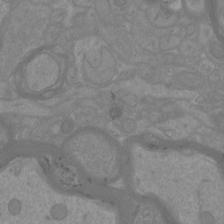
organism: Mouse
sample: Cortical neurons